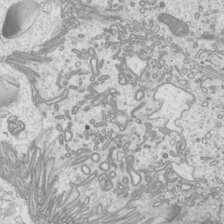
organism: Mouse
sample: Cilia; mouse epididymis